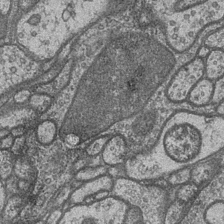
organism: Drosophila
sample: Optic medulla